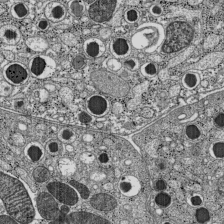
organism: C57BL Mouse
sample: Pancreatic islet